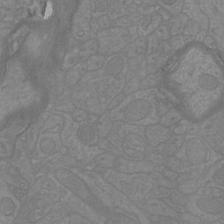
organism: Mouse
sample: Cortical neurons